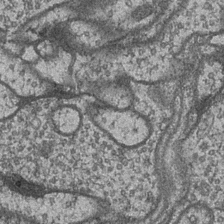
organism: Drosophila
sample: Optic medulla